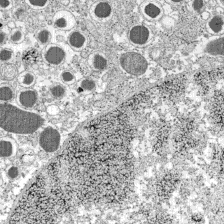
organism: C57BL Mouse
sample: Pancreatic islet